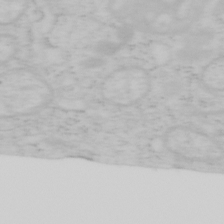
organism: Mouse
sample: OT-I killer T cells with ID8 ovarian cancer cells